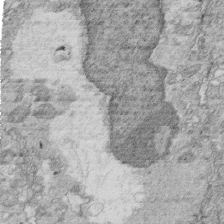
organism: Mouse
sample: Multiciliated cells